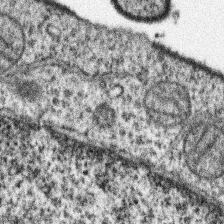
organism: Human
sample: HeLa cells